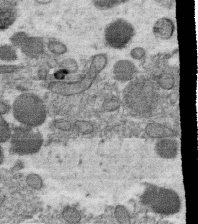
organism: C. elegans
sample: C. elegans oocyte; sperm cells